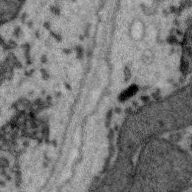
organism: Zebra finch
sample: Brain